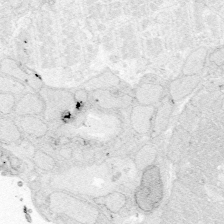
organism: Zebrafish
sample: Whole-Brain